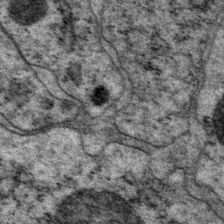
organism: P. pacificus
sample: Pharynx